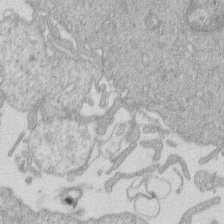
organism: Human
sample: Macrophage cells